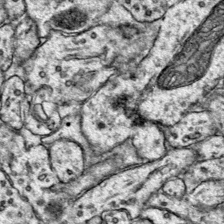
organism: Mouse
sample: Primary visual cortex